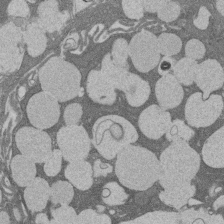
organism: Rat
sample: Salivary granule